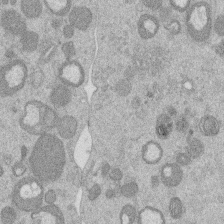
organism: Mouse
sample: Dividing mouse embryo 1 cell stage